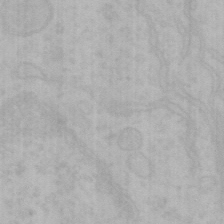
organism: Mouse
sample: Choroid plexus